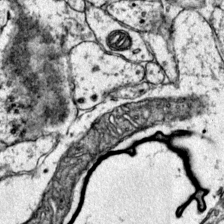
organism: Mouse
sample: Primary visual cortex